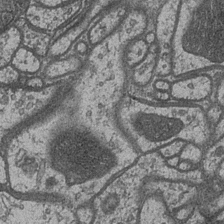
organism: Drosophila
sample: Optic medulla